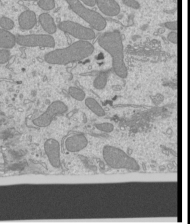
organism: Mouse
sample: Cilia; mouse epididymis